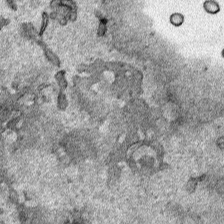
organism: Human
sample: Mitochondria in HCT116 cells